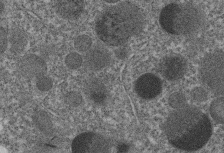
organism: C. elegans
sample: C. elegans embryo early stage